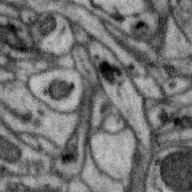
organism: Zebra finch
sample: Brain